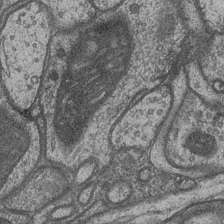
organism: Drosophila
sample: Optic medulla